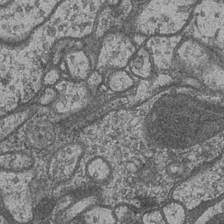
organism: Drosophila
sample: Optic medulla